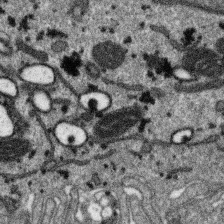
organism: Human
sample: Lung epithelial cells infected with SARS-CoV-2